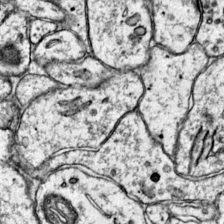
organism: Mouse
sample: Primary visual cortex